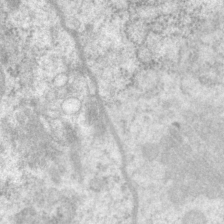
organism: P. pacificus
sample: Pharynx